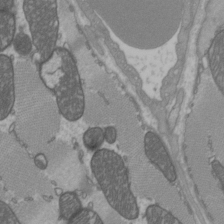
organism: C57BL Mouse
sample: Heart